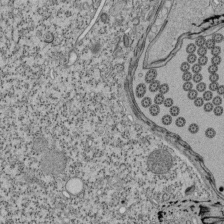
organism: Tetrahymena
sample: Cilia in tetrahymena